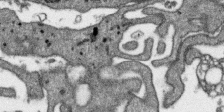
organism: Human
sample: Lung epithelial cells, uninfected (mock) control